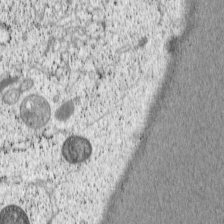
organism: African green monkey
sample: COS-7 cells